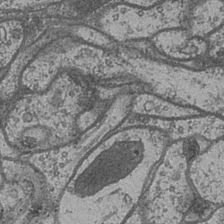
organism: Drosophila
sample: Optic medulla